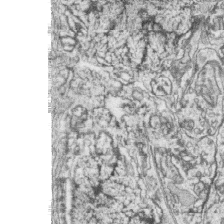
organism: Zebrafish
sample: synaptic ribbons in rod cells and cone cells